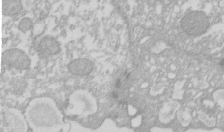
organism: Xenopus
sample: Cilia; centrioles in frog embryo cells